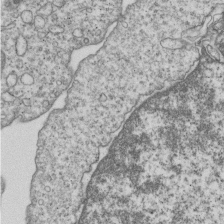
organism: Human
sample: MDA-MB-231 cells